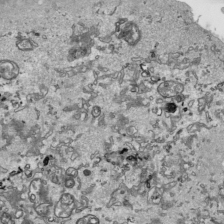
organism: Human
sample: Mitochondria in HCT116 cells